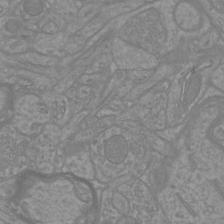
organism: Mouse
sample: Cortical neurons